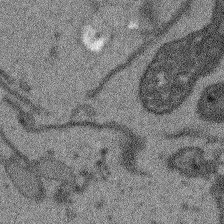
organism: Arabidopsis thaliana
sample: Root tip